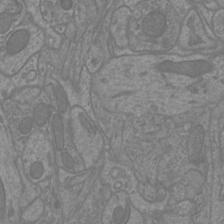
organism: Mouse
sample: Cortical neurons